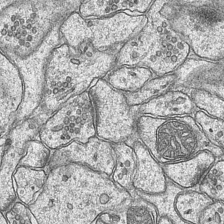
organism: Mouse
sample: CA1 Hippocampus